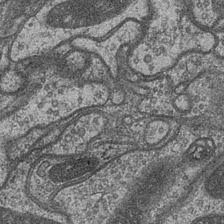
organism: Drosophila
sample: Optic medulla